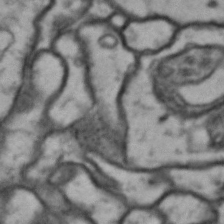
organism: Drosophila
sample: Brain